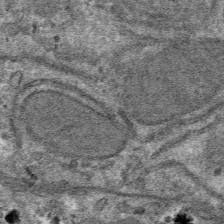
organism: Mouse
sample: Mouse hepatocytes